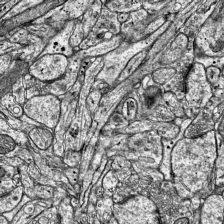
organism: Mouse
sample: Visual Cortex